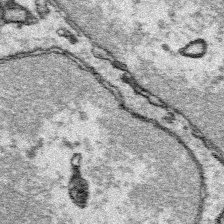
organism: Platynereis dumerilii